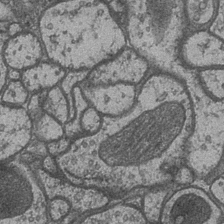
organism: Drosophila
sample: Optic medulla